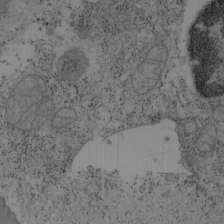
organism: Mouse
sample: OT-I killer T cells with ID8 ovarian cancer cells